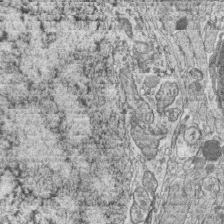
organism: Zebrafish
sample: synaptic ribbons in rod cells and cone cells